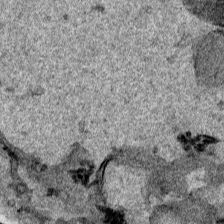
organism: Human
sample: Mitochondria in HCT116 cells